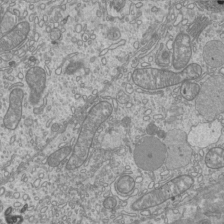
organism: Mouse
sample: Cilia; mouse epididymis